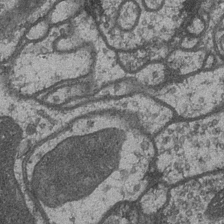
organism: Drosophila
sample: Optic medulla